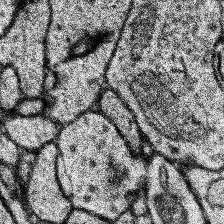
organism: Human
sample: Temporal Lobe